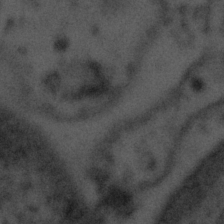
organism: Tuwongella immobilis